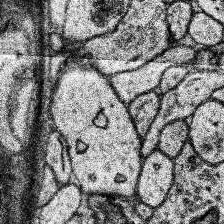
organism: Human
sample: Temporal Lobe